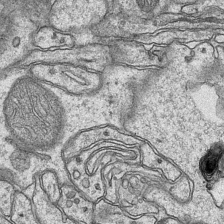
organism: Mouse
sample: CA1 Hippocampus